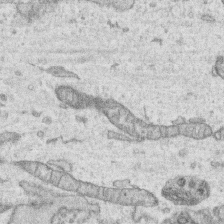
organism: Human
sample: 1205lu cells